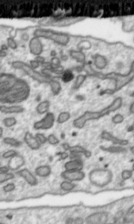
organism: Toxoplasma gondii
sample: Parasites in a vacuole inside a host cell